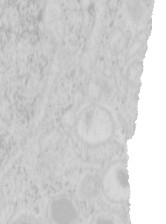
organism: Mouse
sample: Pancreas